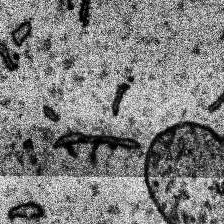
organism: Human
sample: Temporal Lobe